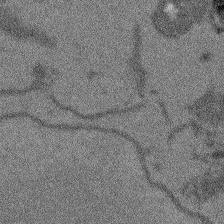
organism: Arabidopsis thaliana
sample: Root tip